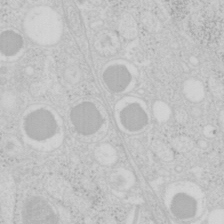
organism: Mouse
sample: Pancreas